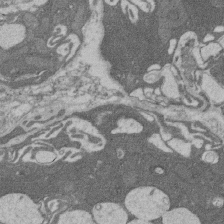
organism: Rat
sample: Salivary granule